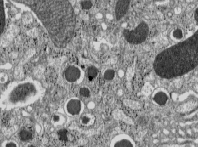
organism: C57BL Mouse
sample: Pancreatic islet